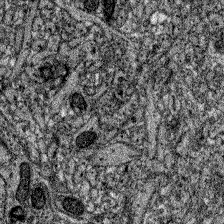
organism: Zebrafish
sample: Larval olfactory bulb